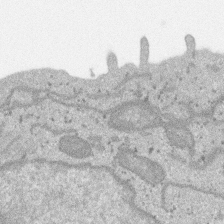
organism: Human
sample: Lung epithelial cells infected with SARS-CoV-2